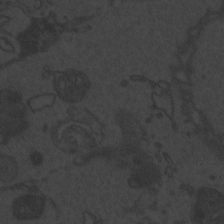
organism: Zebrafish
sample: Macrophage infected with Toxoplasma gondii